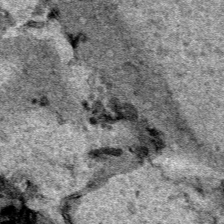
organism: Human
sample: Mitochondria in HCT116 cells